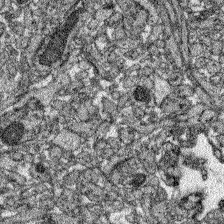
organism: Zebrafish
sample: Larval olfactory bulb